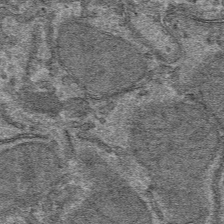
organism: Mouse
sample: Mouse hepatocytes